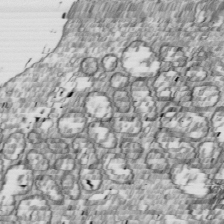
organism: Drosophila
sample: Cell division; meiosis; drosophila spermatocytes